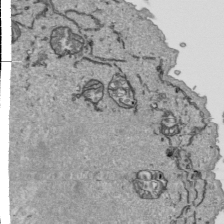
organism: Human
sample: Mitochondria in HCT116 cells